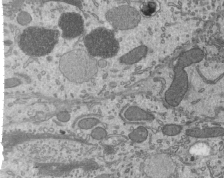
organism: Mouse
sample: Mouse epididymis efferent ductule cilia